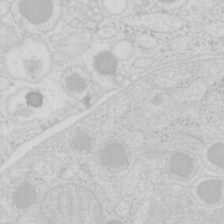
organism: Mouse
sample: Pancreas